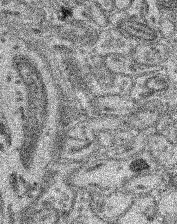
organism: Mouse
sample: Retina